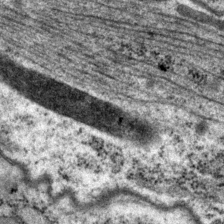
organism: P. pacificus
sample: Pharynx